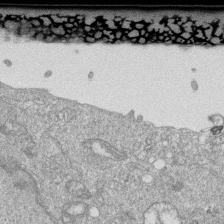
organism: Human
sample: HeLa cell HIV synapse